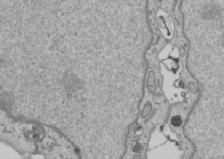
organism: Human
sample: Mitochondria in U2OS cells